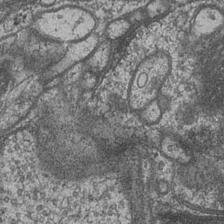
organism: Drosophila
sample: Optic medulla